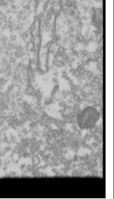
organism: Drosophila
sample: Cell division; meiosis; drosophila spermatocytes